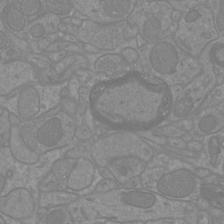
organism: Mouse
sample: Cortical neurons